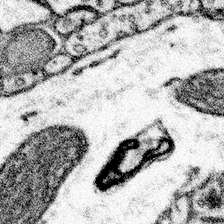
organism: Mouse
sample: Somatosensory cortex neuropil